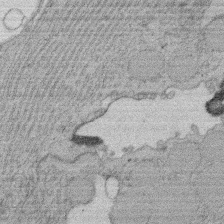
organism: Rat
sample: Salivary granule